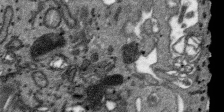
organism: Human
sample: Lung epithelial cells, uninfected (mock) control